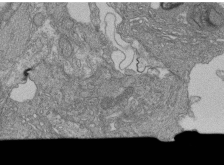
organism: Human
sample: Retinal organoid Rod and Cone cells